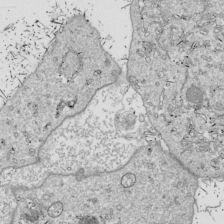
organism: Drosophila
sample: Cell division; meiosis; drosophila spermatocytes